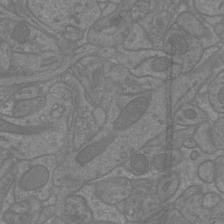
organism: Mouse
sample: Cortical neurons